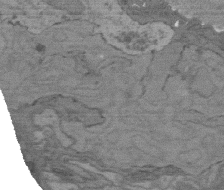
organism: C. elegans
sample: AFD neurons C. elegans